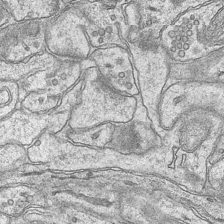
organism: Mouse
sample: CA1 Hippocampus